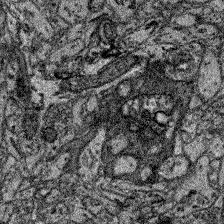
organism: Zebrafish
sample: Larval olfactory bulb